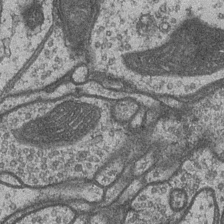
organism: Drosophila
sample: Optic medulla